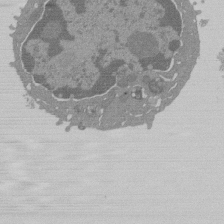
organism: Mouse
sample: Activated Pmel transgenic CD8+ T Cells